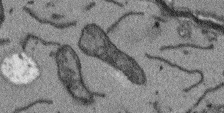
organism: Arabidopsis thaliana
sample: Root tip